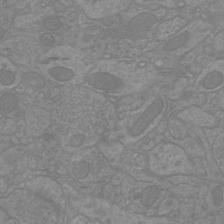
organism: Mouse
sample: Cortical neurons